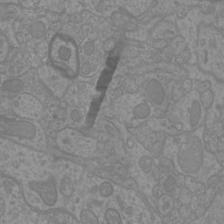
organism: Mouse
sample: Cortical neurons